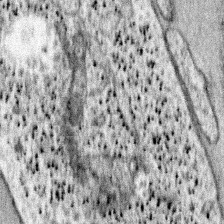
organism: Human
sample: HeLa cells